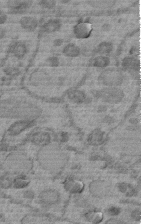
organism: C. elegans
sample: C. elegans embryo early stage